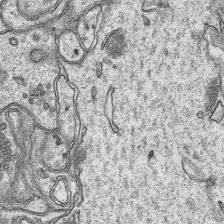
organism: Mouse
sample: CA1 Hippocampus